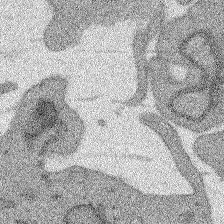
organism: Human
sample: HeLa cells